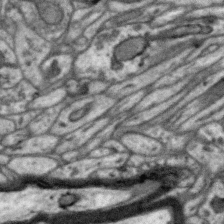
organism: Zebra finch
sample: Brain